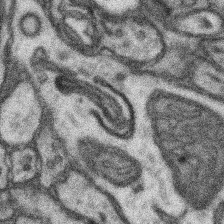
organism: Mouse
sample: Somatosensory cortex neuropil